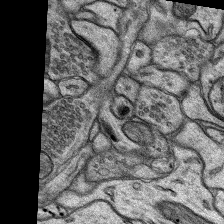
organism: Rat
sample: Hippocampus